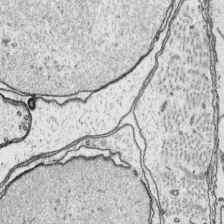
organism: Platynereis dumerilii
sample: Parapodia